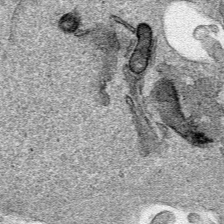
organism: Human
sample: Mitochondria in HCT116 cells